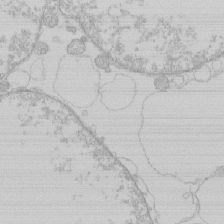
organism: Human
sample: Macrophage cells